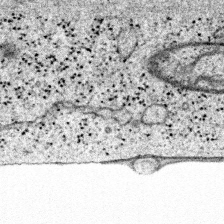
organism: Human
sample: HeLa cells